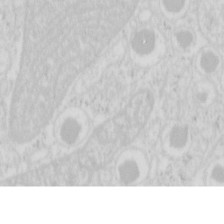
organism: Mouse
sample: Pancreas